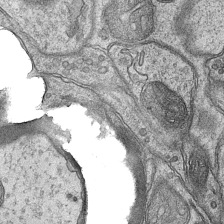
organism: Mouse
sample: CA1 Hippocampus